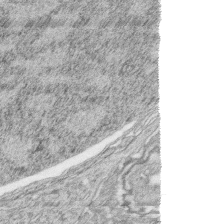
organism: Zebrafish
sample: synaptic ribbons in rod cells and cone cells